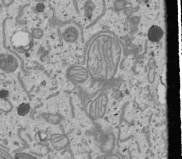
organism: Human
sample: Mitochondria in U2OS cells